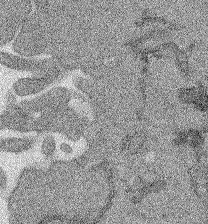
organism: Human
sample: HeLa cells